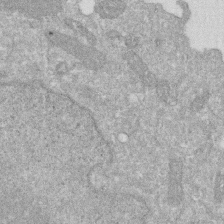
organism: Human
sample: HIV infected U937 cells